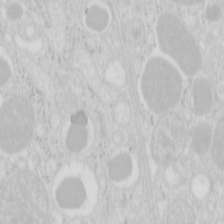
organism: Mouse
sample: Pancreas